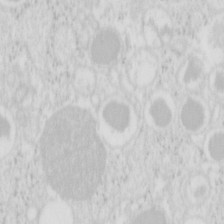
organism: Mouse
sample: Pancreas